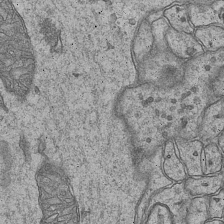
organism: Mouse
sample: CA1 Hippocampus